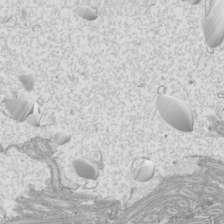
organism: Mouse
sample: Cilia; mouse epididymis